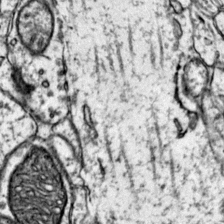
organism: Mouse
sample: Primary visual cortex